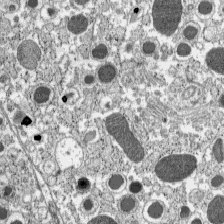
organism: C57BL Mouse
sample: Pancreatic islet